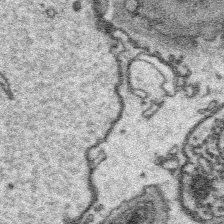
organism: Platynereis dumerilii